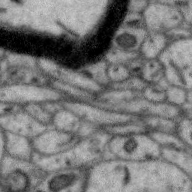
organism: Zebra finch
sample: Brain